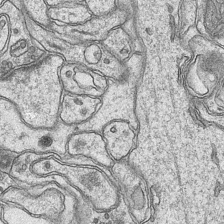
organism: Mouse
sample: CA1 Hippocampus